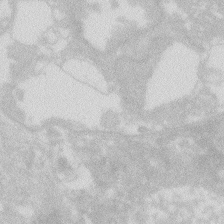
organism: Zebrafish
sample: Macrophage